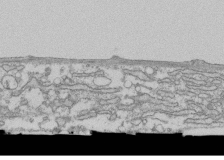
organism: Human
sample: Fibroblast cells